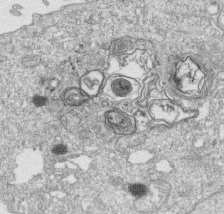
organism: Human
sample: HeLa cell HIV synapse